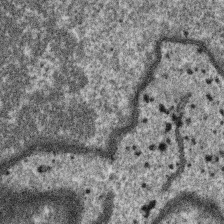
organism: Human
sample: Lung epithelial cells infected with SARS-CoV-2